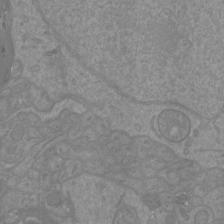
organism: Mouse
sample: Cortical neurons